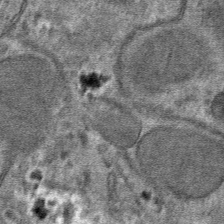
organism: Mouse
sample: Mouse hepatocytes